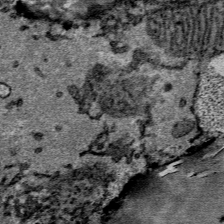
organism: Mouse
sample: Mouse Salivary gland